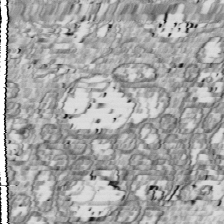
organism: Drosophila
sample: Cell division; meiosis; drosophila spermatocytes